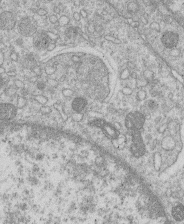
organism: Human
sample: Macrophage cells